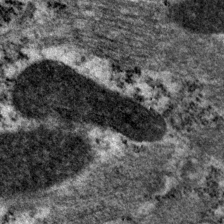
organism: P. pacificus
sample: Pharynx